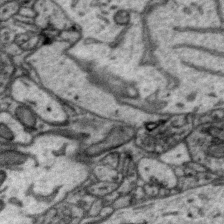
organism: Zebra finch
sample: Brain